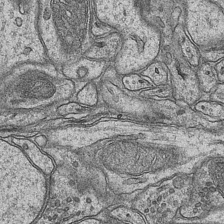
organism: Mouse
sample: CA1 Hippocampus